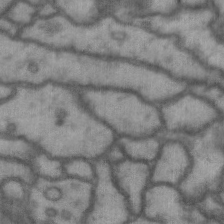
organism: Drosophila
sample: Brain